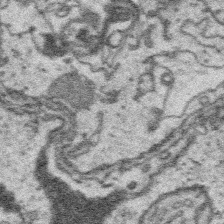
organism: Platynereis dumerilii